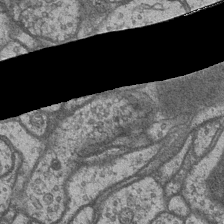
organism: Drosophila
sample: Optic medulla